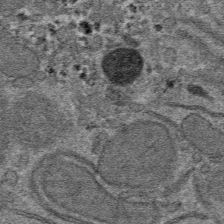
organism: Mouse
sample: Mouse hepatocytes